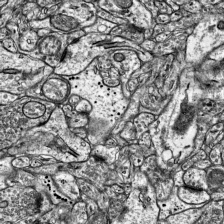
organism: Mouse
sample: Visual Cortex